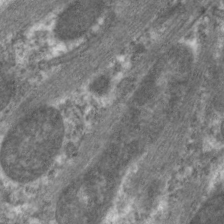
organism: C. elegans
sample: Pharynx